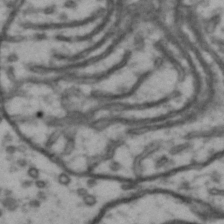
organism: Drosophila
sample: Brain